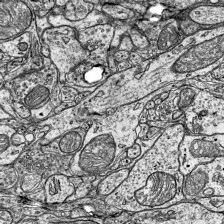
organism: Mouse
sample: Visual Cortex